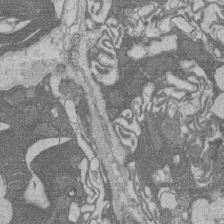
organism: Rat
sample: Salivary granule